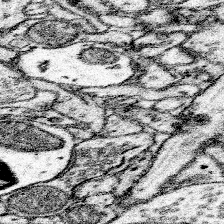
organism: Mouse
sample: Somatosensory cortex neuropil